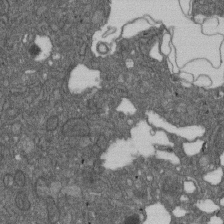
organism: Drosophila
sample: Nephrocyte